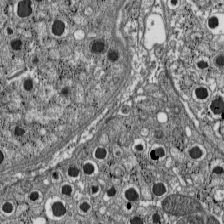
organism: C57BL Mouse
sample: Pancreatic islet